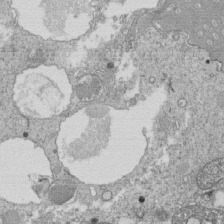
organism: Tetrahymena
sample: Cilia in tetrahymena